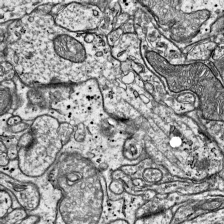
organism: Mouse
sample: Visual Cortex